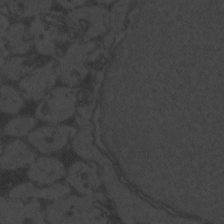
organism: Zebrafish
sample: Macrophage infected with Toxoplasma gondii